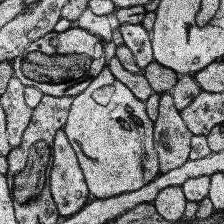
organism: Human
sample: Temporal Lobe